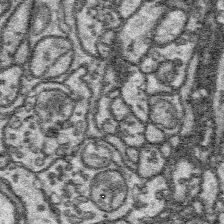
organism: Platynereis dumerilii